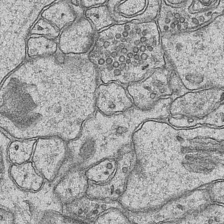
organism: Mouse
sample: CA1 Hippocampus